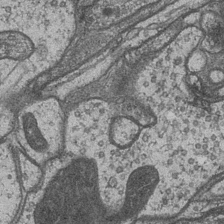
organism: Drosophila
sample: Optic medulla